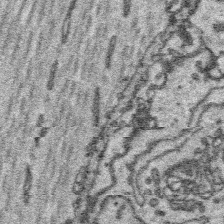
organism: Platynereis dumerilii